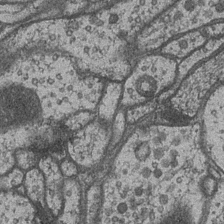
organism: Drosophila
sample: Optic medulla